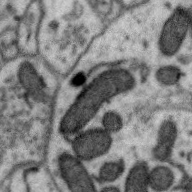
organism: Zebra finch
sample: Brain